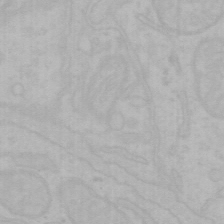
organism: Mouse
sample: Choroid plexus